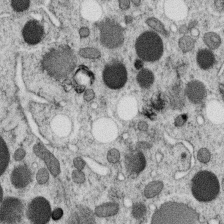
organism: C. elegans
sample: C. elegans oocyte; sperm cells